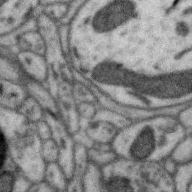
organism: Zebra finch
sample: Brain